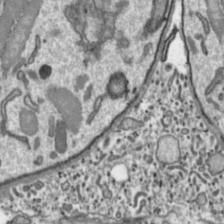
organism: Toxoplasma gondii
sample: Parasites in a vacuole inside a host cell